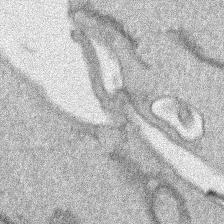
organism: Human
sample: Mitochondria in HCT116 cells